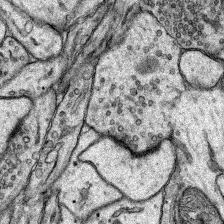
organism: Rat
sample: Hippocampus